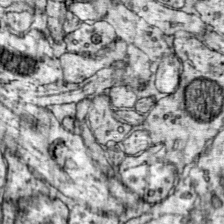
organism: Mouse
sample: Primary visual cortex